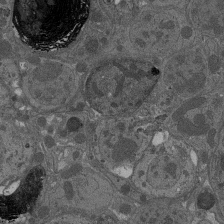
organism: Drosophila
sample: Antenna